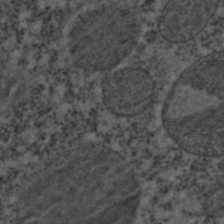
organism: C. elegans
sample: C. elegans embryo